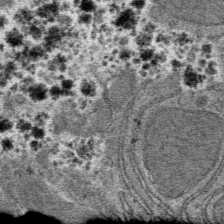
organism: Mouse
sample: Mouse hepatocytes